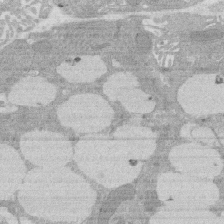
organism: Rat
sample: Salivary granule